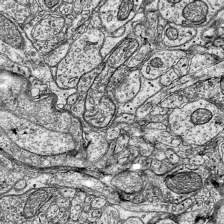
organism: Mouse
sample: Visual Cortex